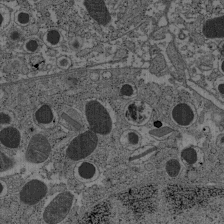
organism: C57BL Mouse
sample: Pancreatic islet